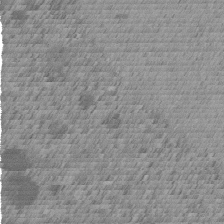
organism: C. elegans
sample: C. elegans embryo early stage